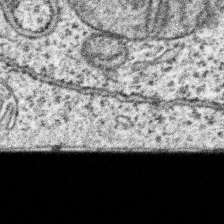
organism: Human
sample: HeLa cells